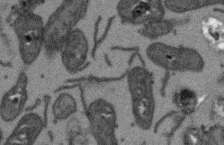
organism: Arabidopsis thaliana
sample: Root tip